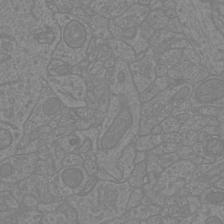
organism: Mouse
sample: Cortical neurons